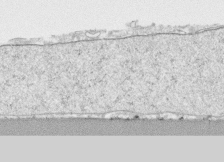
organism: Human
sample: CRL-1474